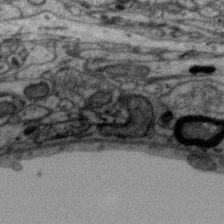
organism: Zebra finch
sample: Brain